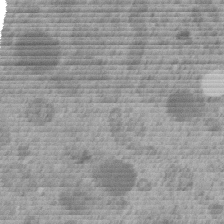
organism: C. elegans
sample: C. elegans embryo early stage